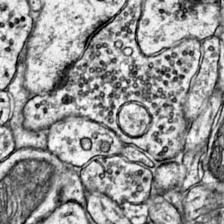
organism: Mouse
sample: Primary visual cortex